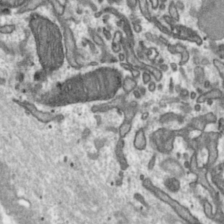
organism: Toxoplasma gondii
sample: Parasites in a vacuole inside a host cell